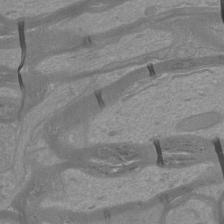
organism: Mouse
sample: Cortical neurons